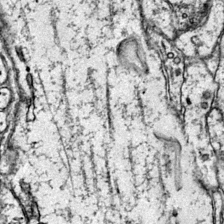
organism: Mouse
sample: Primary visual cortex